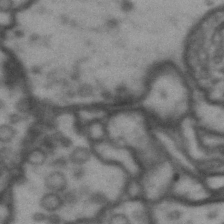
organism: Drosophila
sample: Brain